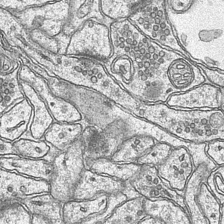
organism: Mouse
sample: CA1 Hippocampus